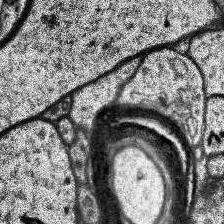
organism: Human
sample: Temporal Lobe